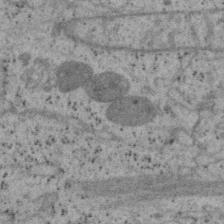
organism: Human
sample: HeLa cells